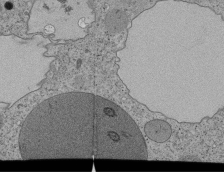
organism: Tetrahymena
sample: Cilia in tetrahymena